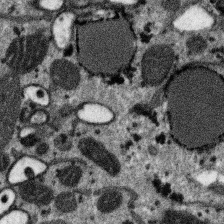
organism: Human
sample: Lung epithelial cells infected with SARS-CoV-2